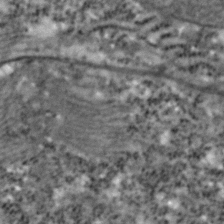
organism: Zebrafish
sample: Zebrafish embryo